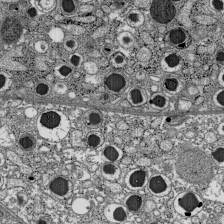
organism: C57BL Mouse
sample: Pancreatic islet